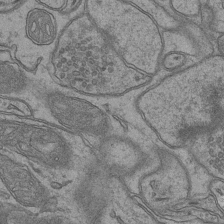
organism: Mouse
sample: CA1 Hippocampus